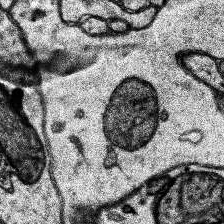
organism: Human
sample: Temporal Lobe